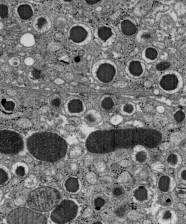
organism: C57BL Mouse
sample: Pancreatic islet